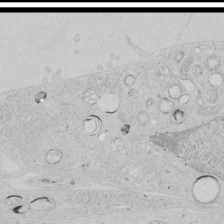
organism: Human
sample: Mitochondria in HCT116 cells